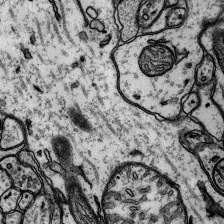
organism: Rat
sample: Hippocampus